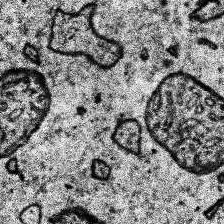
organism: Human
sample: Temporal Lobe